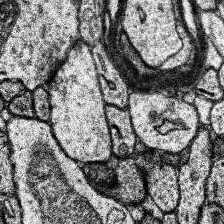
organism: Human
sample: Temporal Lobe